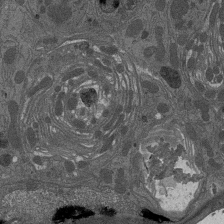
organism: Drosophila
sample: Antenna